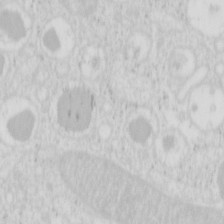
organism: Mouse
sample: Pancreas